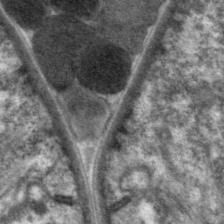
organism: C. elegans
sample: Pharynx